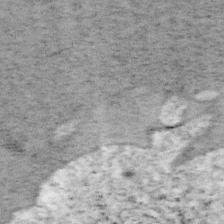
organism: Mouse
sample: OT-I killer T cells with ID8 ovarian cancer cells